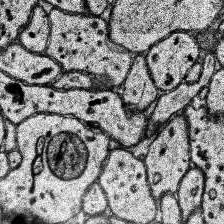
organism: Human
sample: Temporal Lobe